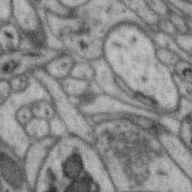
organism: Zebra finch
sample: Brain